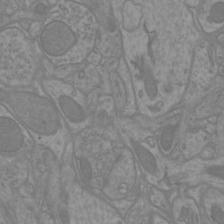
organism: Mouse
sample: Cortical neurons